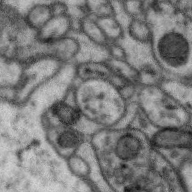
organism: Zebra finch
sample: Brain